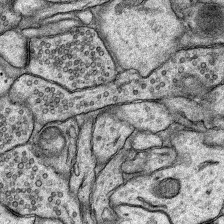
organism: Rat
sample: Hippocampus